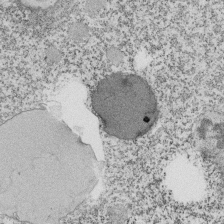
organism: Tetrahymena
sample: Cilia in tetrahymena